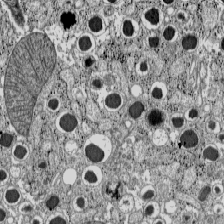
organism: C57BL Mouse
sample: Pancreatic islet